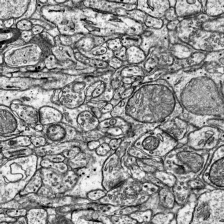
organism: Mouse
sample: Visual Cortex